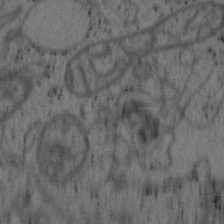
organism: Human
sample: HeLa cells